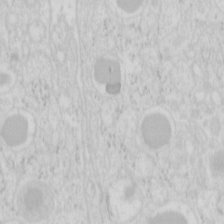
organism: Mouse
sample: Pancreas